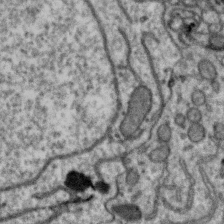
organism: Zebra finch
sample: Brain